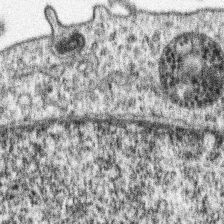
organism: Human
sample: HeLa cells